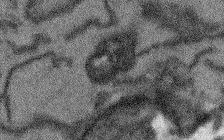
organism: Arabidopsis thaliana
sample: Root tip